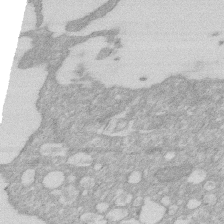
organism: Human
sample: HIV infected U937 cells